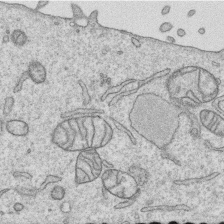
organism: Human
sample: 1205lu cells